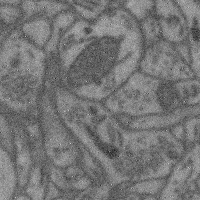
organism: Mouse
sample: Cerebral cortex